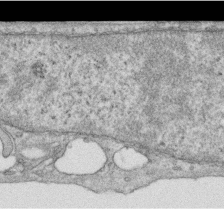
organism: Human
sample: Centriole in RPE cells